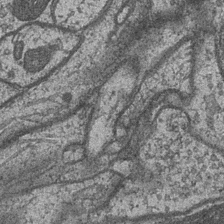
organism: Drosophila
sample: Optic medulla